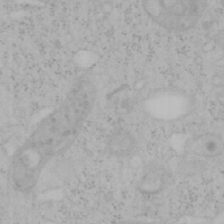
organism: Mouse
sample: OT-I killer T cells with ID8 ovarian cancer cells